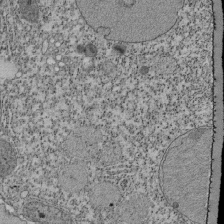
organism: Tetrahymena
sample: Cilia in tetrahymena